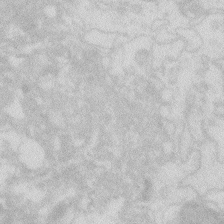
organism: Zebrafish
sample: Macrophage